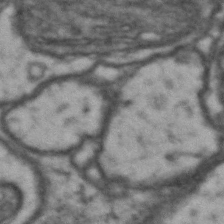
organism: Drosophila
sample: Brain